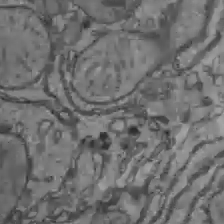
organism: C57BL Mouse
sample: Liver